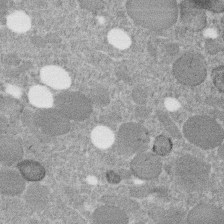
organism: C. elegans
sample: C. elegans embryo early stage